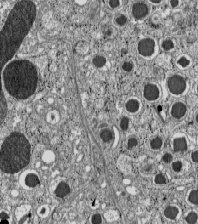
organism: C57BL Mouse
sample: Pancreatic islet